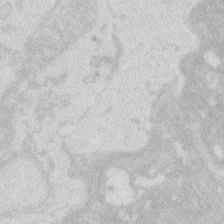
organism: Zebrafish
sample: Macrophage